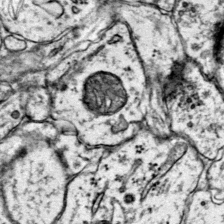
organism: Mouse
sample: Primary visual cortex